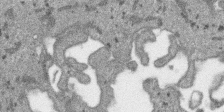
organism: Human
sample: Lung epithelial cells infected with SARS-CoV-2